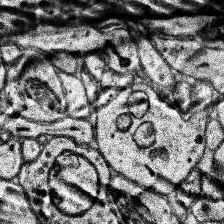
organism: Human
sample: Temporal Lobe